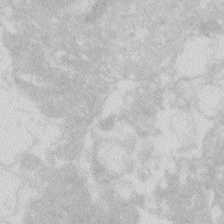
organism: Zebrafish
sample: Macrophage